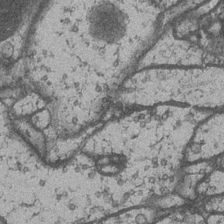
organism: Drosophila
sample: Optic medulla